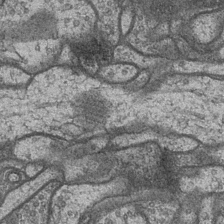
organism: Drosophila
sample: Optic medulla